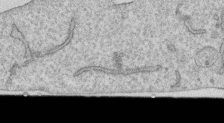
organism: Human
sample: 1205lu cells